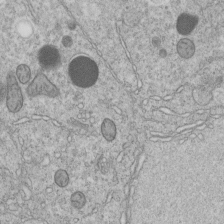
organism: C. elegans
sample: C. elegans embryo early stage